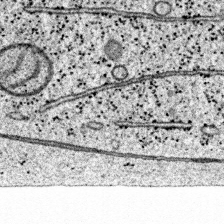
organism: Human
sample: HeLa cells